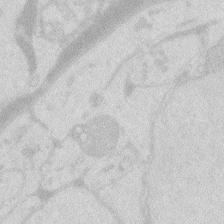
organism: Zebrafish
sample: Macrophage